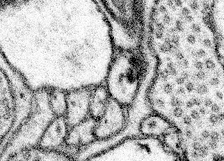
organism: Mouse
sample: Somatosensory cortex neuropil